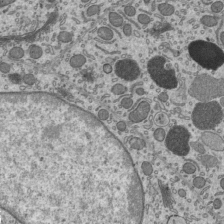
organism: Mouse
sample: Mouse epididymis efferent ductule cilia